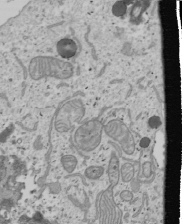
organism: Human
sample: Mitochondria in U2OS cells